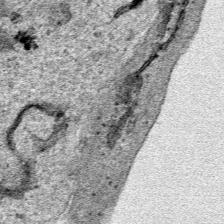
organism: Human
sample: Mitochondria in HCT116 cells